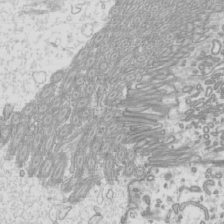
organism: Mouse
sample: Cilia; mouse epididymis